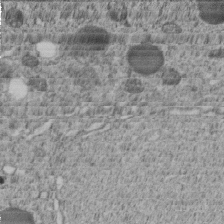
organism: C. elegans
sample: C. elegans embryo early stage